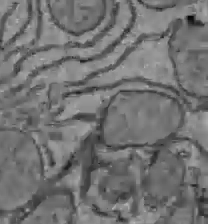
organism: C57BL Mouse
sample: Liver